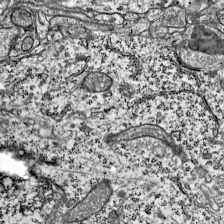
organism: Mouse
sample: Visual Cortex